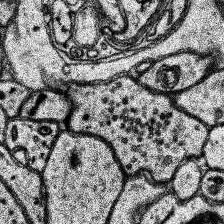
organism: Human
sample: Temporal Lobe